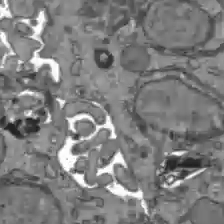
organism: C57BL Mouse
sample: Liver